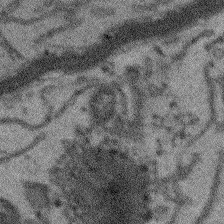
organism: Arabidopsis thaliana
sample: Root tip